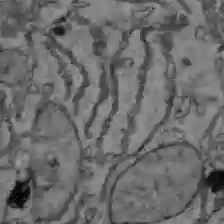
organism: C57BL Mouse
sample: Liver